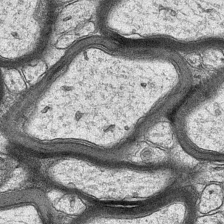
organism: Mouse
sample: CA1 Hippocampus